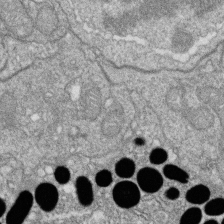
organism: Zebrafish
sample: Cilia; retinal pigment epithelium